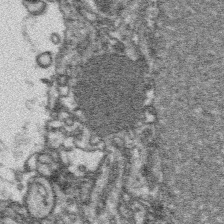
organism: Platynereis dumerilii